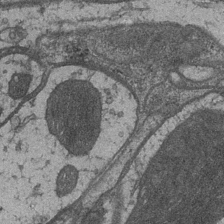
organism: Drosophila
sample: Optic medulla